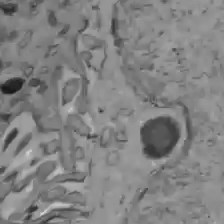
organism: C57BL Mouse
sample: Liver